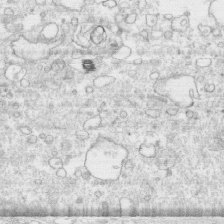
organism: Human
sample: CRL-1474